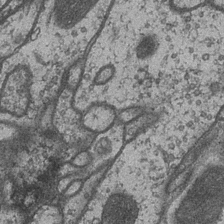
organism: Drosophila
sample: Optic medulla